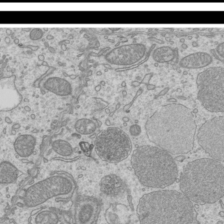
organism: Mouse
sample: Cilia; mouse epididymis